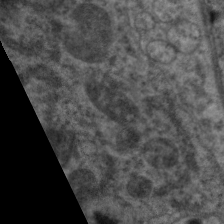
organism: C. elegans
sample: Pharynx